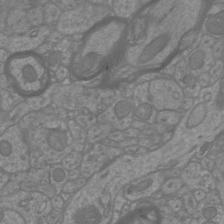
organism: Mouse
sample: Cortical neurons